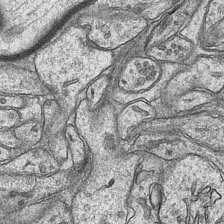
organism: Mouse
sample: CA1 Hippocampus